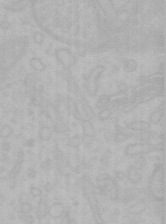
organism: Mouse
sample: Choroid plexus